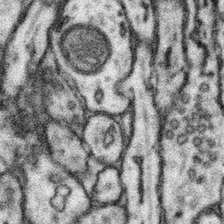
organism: Mouse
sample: Somatosensory cortex neuropil